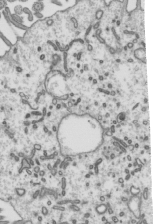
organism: Mouse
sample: Mouse epididymis efferent ductule cilia